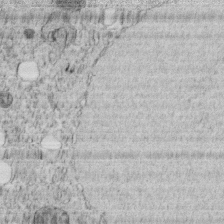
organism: C. elegans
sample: C. elegans embryo early stage